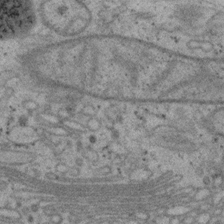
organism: Human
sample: HeLa cells